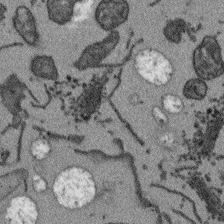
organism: Arabidopsis thaliana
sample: Root tip